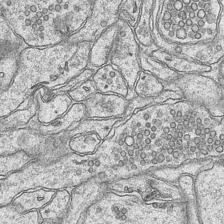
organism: Mouse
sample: CA1 Hippocampus